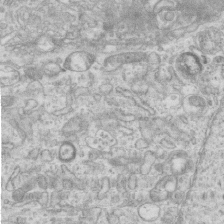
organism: Mouse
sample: Centriole in ependymal cells